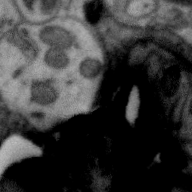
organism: Zebra finch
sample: Brain